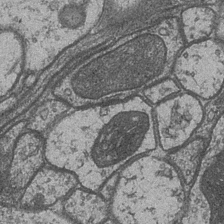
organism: Drosophila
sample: Optic medulla